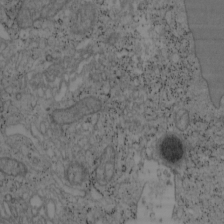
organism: Mouse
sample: OT-I killer T cells with ID8 ovarian cancer cells